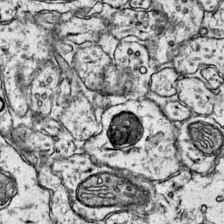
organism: Mouse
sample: Primary visual cortex